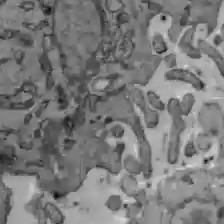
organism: C57BL Mouse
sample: Liver